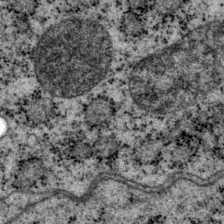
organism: P. pacificus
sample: Pharynx